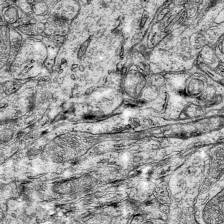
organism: Mouse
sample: Visual Cortex